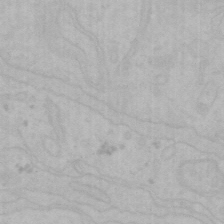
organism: Mouse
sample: Choroid plexus